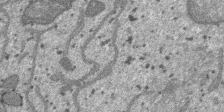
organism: Human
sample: Lung epithelial cells infected with SARS-CoV-2